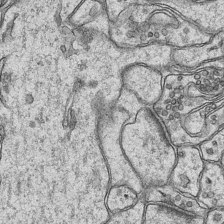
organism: Mouse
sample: CA1 Hippocampus